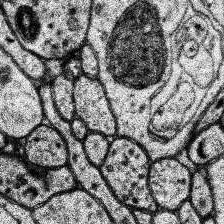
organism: Human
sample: Temporal Lobe